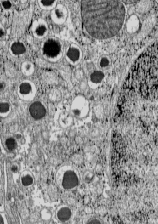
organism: C57BL Mouse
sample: Pancreatic islet